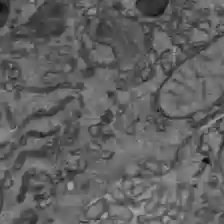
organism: C57BL Mouse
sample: Liver